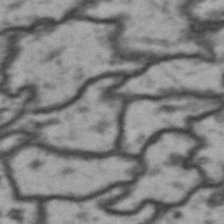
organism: Drosophila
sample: Brain